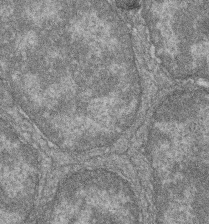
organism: Zebrafish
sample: Cilia; retinal pigment epithelium